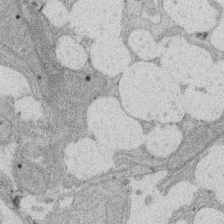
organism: Rat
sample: Salivary granule